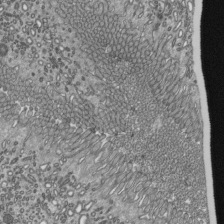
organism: Mouse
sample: Mouse epididymis efferent ductule cilia